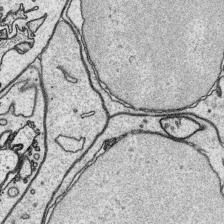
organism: Platynereis dumerilii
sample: Parapodia